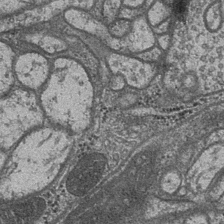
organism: Drosophila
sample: Optic medulla